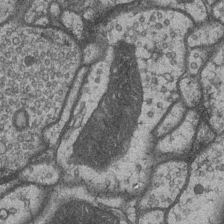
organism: Drosophila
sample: Optic medulla